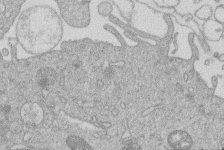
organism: Human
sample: Macrophage cells